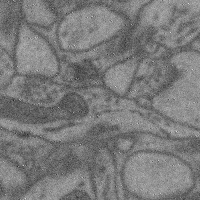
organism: Mouse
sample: Cerebral cortex